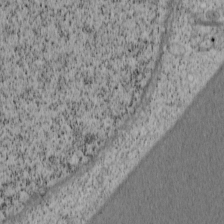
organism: African green monkey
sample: COS-7 cells